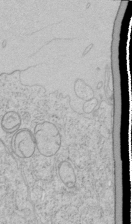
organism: Human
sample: Mitochondria in HCT116 cells